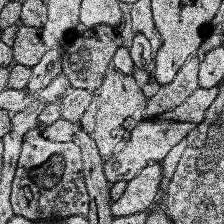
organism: Human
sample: Temporal Lobe